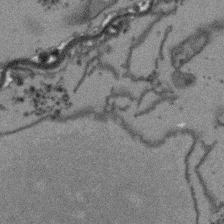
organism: Arabidopsis thaliana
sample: Root tip